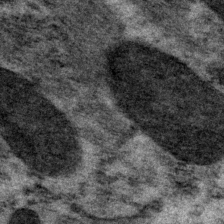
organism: P. pacificus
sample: Pharynx